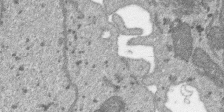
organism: Human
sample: Lung epithelial cells infected with SARS-CoV-2